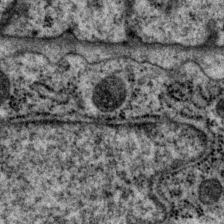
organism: P. pacificus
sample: Pharynx